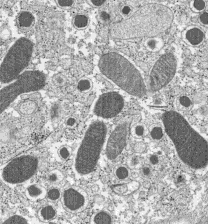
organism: C57BL Mouse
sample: Pancreatic islet